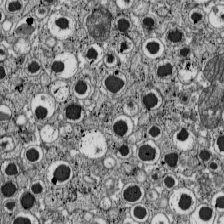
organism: C57BL Mouse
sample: Pancreatic islet